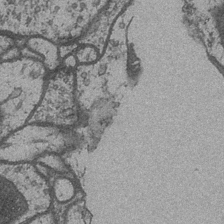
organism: Drosophila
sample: Optic medulla